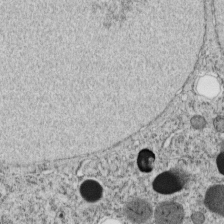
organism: C. elegans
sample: C. elegans embryo early stage